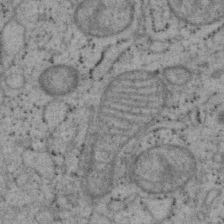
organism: Human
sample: HeLa cells